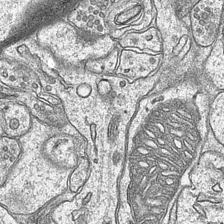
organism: Mouse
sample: CA1 Hippocampus